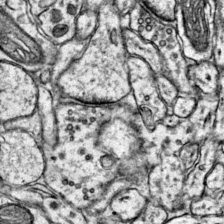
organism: Mouse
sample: Primary visual cortex